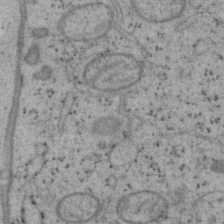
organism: Human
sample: HeLa cells